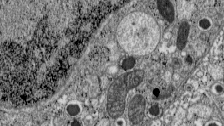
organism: C57BL Mouse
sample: Pancreatic islet